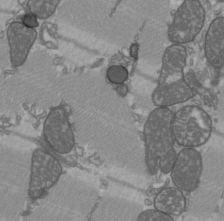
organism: C57BL Mouse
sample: Heart